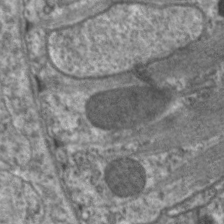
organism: C. elegans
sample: Pharynx